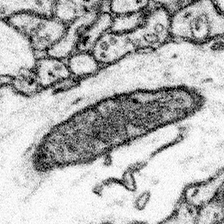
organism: Mouse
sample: Somatosensory cortex neuropil